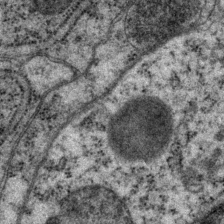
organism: P. pacificus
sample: Pharynx